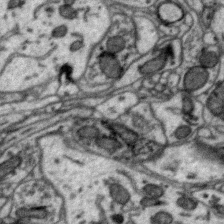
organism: Zebra finch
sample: Brain